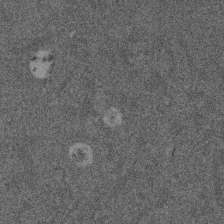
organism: Mouse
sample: Dividing mouse embryo 1 cell stage